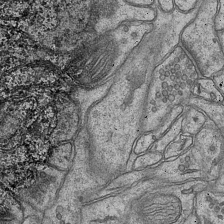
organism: Mouse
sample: CA1 Hippocampus